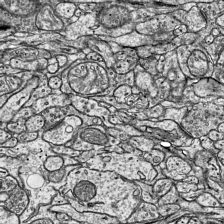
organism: Mouse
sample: Visual Cortex